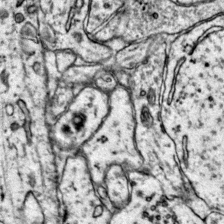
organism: Mouse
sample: Primary visual cortex